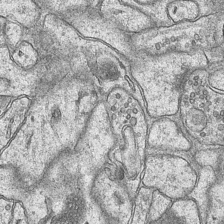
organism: Mouse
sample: CA1 Hippocampus